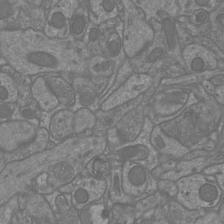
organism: Mouse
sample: Cortical neurons